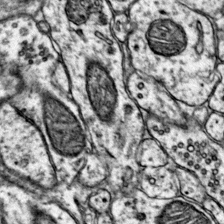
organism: Mouse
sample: Primary visual cortex